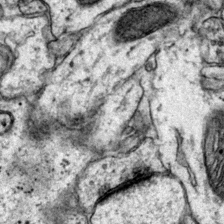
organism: Mouse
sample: Primary visual cortex